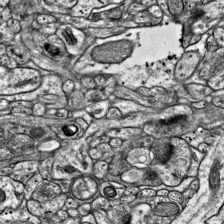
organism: Mouse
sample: Visual Cortex